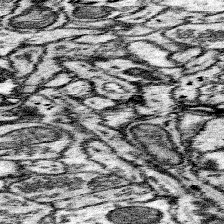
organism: Mouse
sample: Somatosensory cortex neuropil